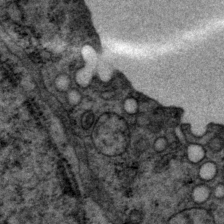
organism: P. pacificus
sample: Pharynx